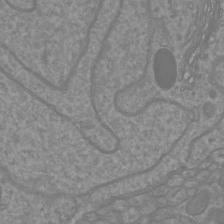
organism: Mouse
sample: Cortical neurons